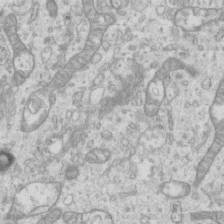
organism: Mouse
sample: Centriole in ependymal cells